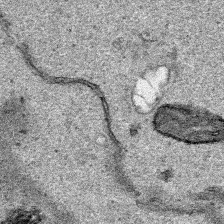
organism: Human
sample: Mitochondria in HCT116 cells